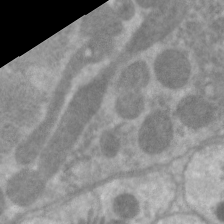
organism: C. elegans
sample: Pharynx